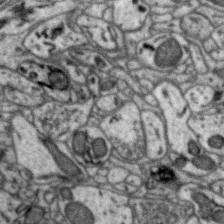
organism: Zebra finch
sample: Brain